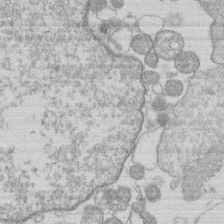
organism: Human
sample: Macrophage cells